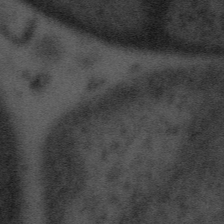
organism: Tuwongella immobilis